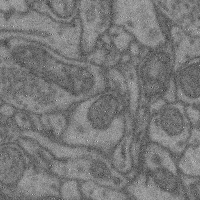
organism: Mouse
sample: Cerebral cortex